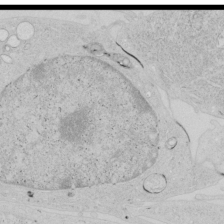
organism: Human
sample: Mitochondria in HCT116 cells